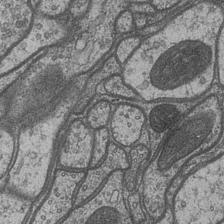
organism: Drosophila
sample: Optic medulla